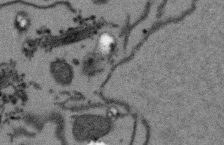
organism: Arabidopsis thaliana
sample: Root tip